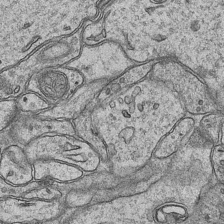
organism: Mouse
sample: CA1 Hippocampus